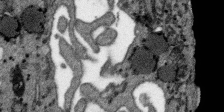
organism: Human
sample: Lung epithelial cells, uninfected (mock) control